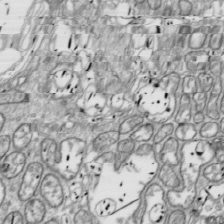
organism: Drosophila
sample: Cell division; meiosis; drosophila spermatocytes